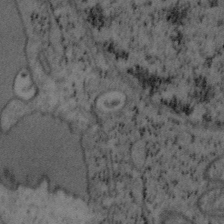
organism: Human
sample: HeLa cells